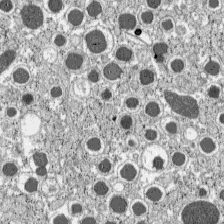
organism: C57BL Mouse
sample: Pancreatic islet